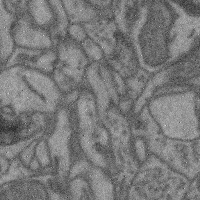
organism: Mouse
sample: Cerebral cortex